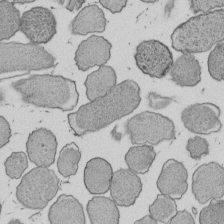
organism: E. coli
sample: Bacterial nucleoid